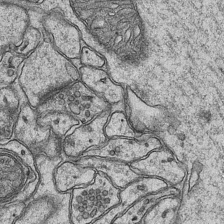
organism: Mouse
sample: CA1 Hippocampus